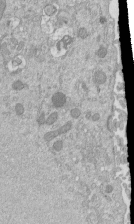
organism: Mouse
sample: ED-1 cell nuclei; centrioles